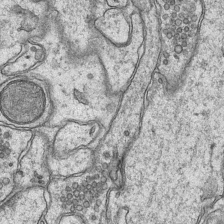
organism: Mouse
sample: CA1 Hippocampus